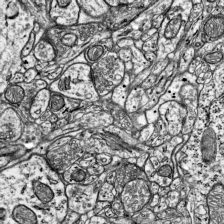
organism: Mouse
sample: Visual Cortex